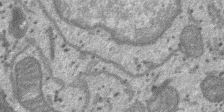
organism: Human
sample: Lung epithelial cells infected with SARS-CoV-2